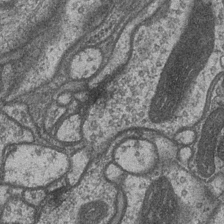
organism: Drosophila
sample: Optic medulla